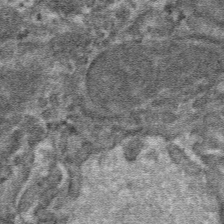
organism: Mouse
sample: Mouse hepatocytes